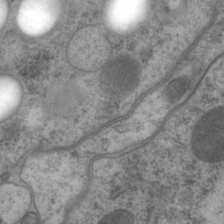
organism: P. pacificus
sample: Pharynx